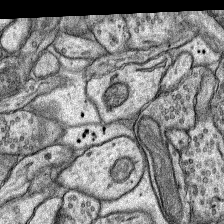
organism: Rat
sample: Hippocampus